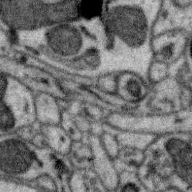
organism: Zebra finch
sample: Brain